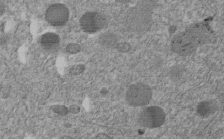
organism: C. elegans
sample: C. elegans embryo early stage